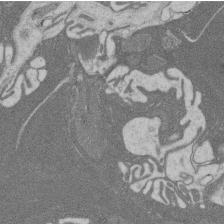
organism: Rat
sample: Salivary granule